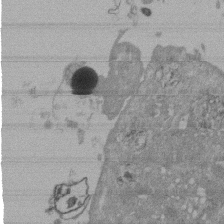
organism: Mouse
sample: ED-1 cell nuclei; centrioles